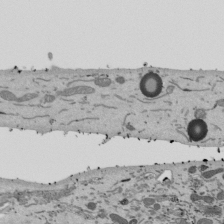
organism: Mouse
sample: ED-1 cell nuclei; centrioles